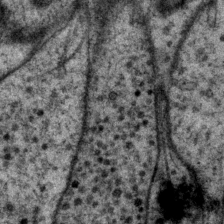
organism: P. pacificus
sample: Pharynx